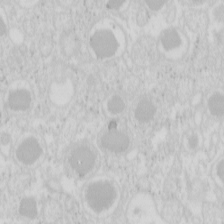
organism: Mouse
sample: Pancreas